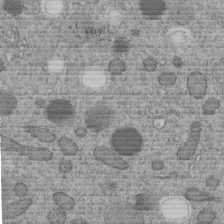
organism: C. elegans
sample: C. elegans embryo early stage